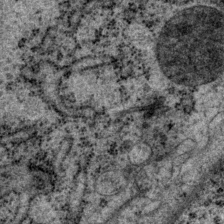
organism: P. pacificus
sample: Pharynx